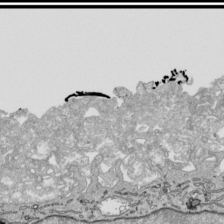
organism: Human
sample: Mitochondria in HCT116 cells